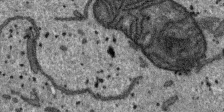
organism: Human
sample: Lung epithelial cells, uninfected (mock) control